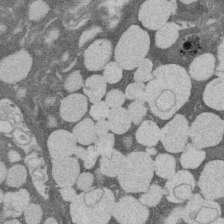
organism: Rat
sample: Salivary granule